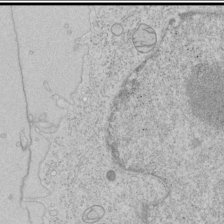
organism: Human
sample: Mitochondria in HCT116 cells